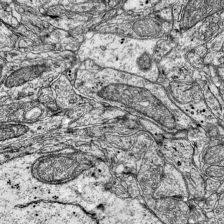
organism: Mouse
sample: Visual Cortex